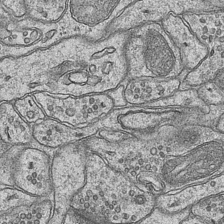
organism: Mouse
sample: CA1 Hippocampus